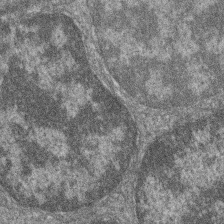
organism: Zebrafish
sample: Cilia; retinal pigment epithelium